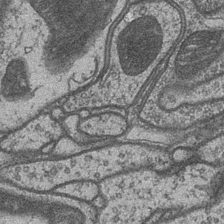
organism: Drosophila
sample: Optic medulla